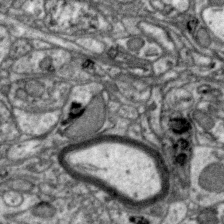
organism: Zebra finch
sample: Brain